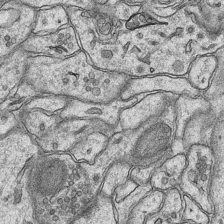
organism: Mouse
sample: CA1 Hippocampus